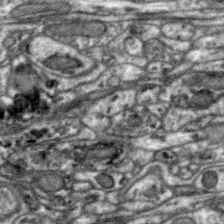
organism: Zebra finch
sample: Brain